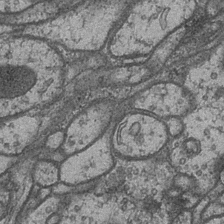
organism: Drosophila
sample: Optic medulla